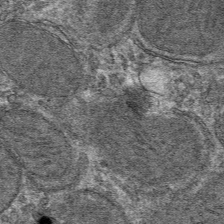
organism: Mouse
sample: Mouse hepatocytes